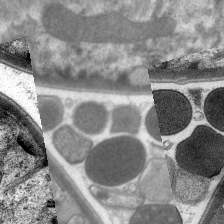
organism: C. elegans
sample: Pharynx